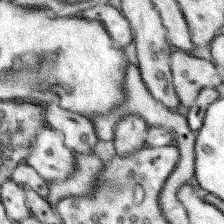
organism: Mouse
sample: Somatosensory cortex neuropil